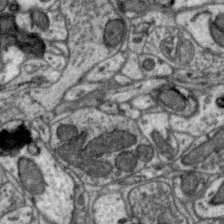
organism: Zebra finch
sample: Brain